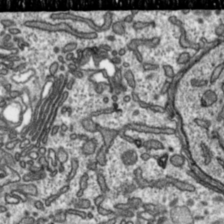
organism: Toxoplasma gondii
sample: Parasites in a vacuole inside a host cell